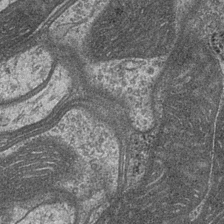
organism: Drosophila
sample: Optic medulla